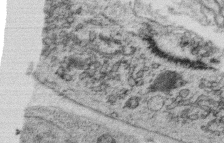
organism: C. elegans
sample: C. elegans oocyte; sperm cells